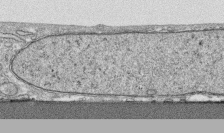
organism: Human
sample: CRL-1474